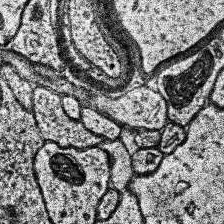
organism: Human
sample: Temporal Lobe